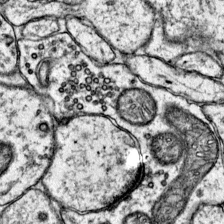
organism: Mouse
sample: Primary visual cortex